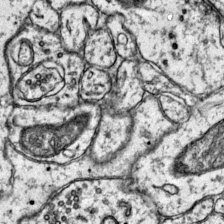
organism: Mouse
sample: Primary visual cortex